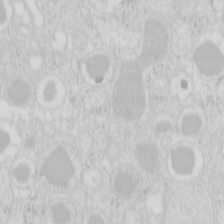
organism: Mouse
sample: Pancreas